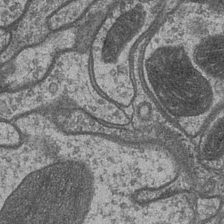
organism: Drosophila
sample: Optic medulla